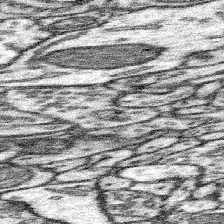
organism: Mouse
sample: Somatosensory cortex neuropil